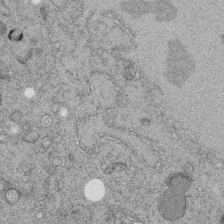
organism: C. elegans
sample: C. elegans embryo early stage